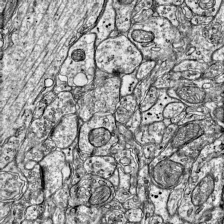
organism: Mouse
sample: Visual Cortex